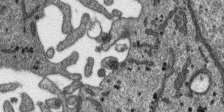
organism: Human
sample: Lung epithelial cells infected with SARS-CoV-2